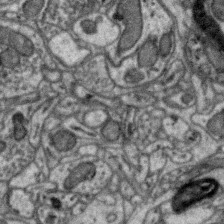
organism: Zebra finch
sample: Brain